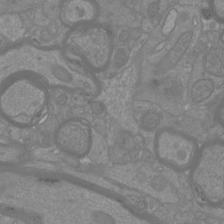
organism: Mouse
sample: Cortical neurons